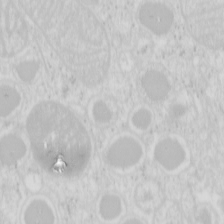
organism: Mouse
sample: Pancreas